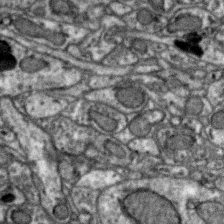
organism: Zebra finch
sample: Brain